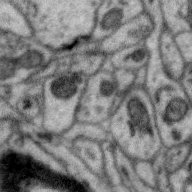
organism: Zebra finch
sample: Brain